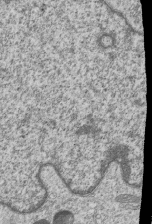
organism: Human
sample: MDA-MB-231 cells